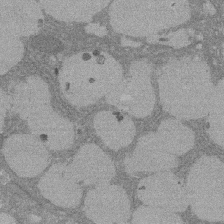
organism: Rat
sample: Salivary granule